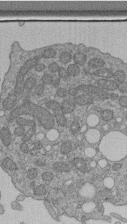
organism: Human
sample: Retinal organoid Rod and Cone cells